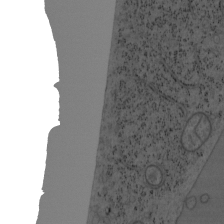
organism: Mouse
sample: OT-I killer T cells with ID8 ovarian cancer cells